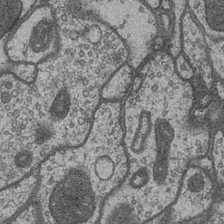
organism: Drosophila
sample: Optic medulla